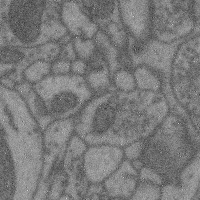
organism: Mouse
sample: Cerebral cortex